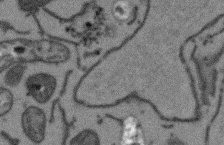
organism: Arabidopsis thaliana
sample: Root tip